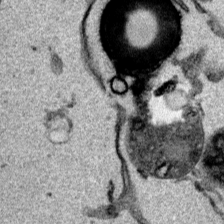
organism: Mouse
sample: Cancer cell death in ED-1 cells